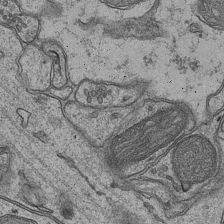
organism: Mouse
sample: CA1 Hippocampus